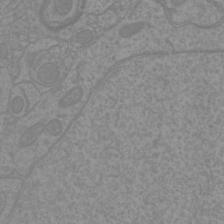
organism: Mouse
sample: Cortical neurons